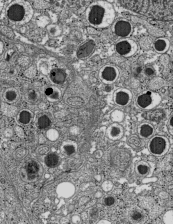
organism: C57BL Mouse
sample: Pancreatic islet